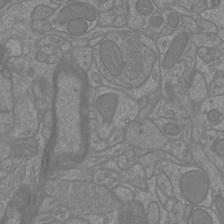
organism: Mouse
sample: Cortical neurons